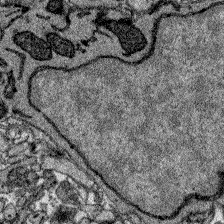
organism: Zebrafish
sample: Larval olfactory bulb